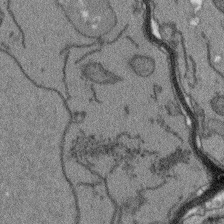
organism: Arabidopsis thaliana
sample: Root tip